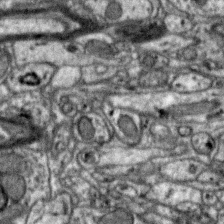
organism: Zebra finch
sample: Brain